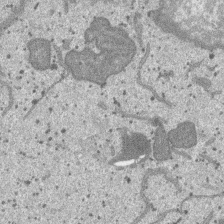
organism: Human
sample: Lung epithelial cells infected with SARS-CoV-2